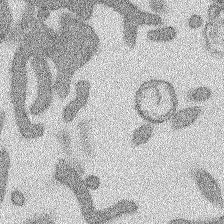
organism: Human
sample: HeLa cells